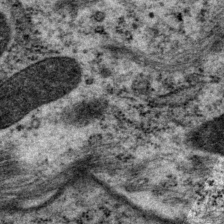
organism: P. pacificus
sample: Pharynx